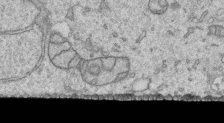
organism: Human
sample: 1205lu cells